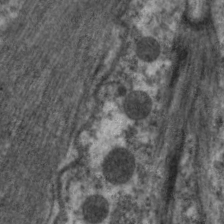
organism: C. elegans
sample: Pharynx